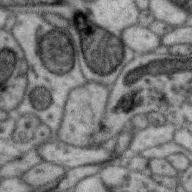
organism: Zebra finch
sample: Brain